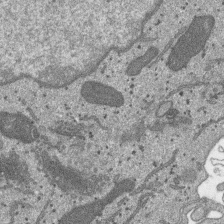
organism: Human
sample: Lung epithelial cells infected with SARS-CoV-2